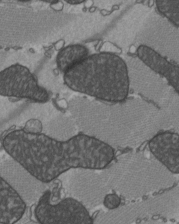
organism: C57BL Mouse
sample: Heart